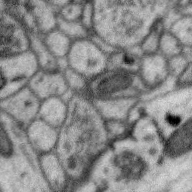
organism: Zebra finch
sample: Brain